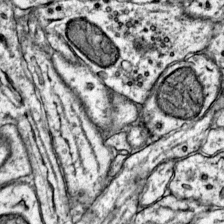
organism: Mouse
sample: Primary visual cortex